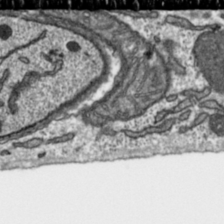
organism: Toxoplasma gondii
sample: Parasites in a vacuole inside a host cell